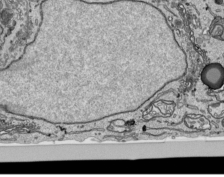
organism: Human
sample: Mitochondria in HCT116 cells